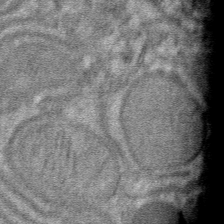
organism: Mouse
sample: Mouse hepatocytes